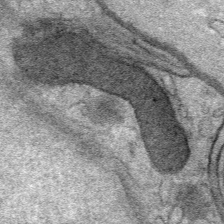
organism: Mouse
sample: Mouse Salivary gland